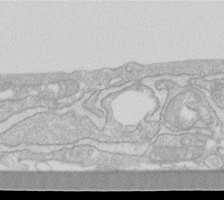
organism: Human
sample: Fibroblast cells